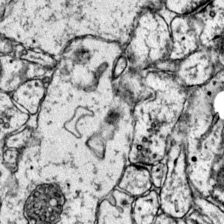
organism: Mouse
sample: Primary visual cortex